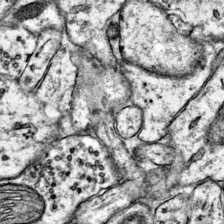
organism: Mouse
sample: Primary visual cortex